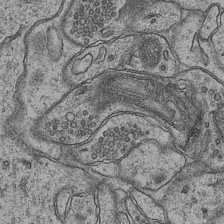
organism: Mouse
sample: CA1 Hippocampus